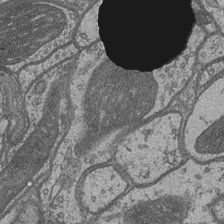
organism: Drosophila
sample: Optic medulla